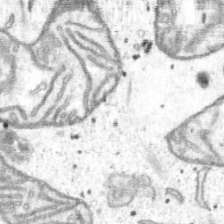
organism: Human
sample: HeLa cells